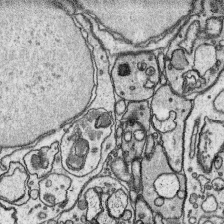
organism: Platynereis dumerilii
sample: Parapodia